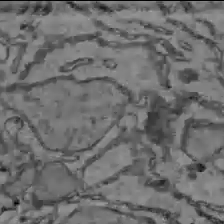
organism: C57BL Mouse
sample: Liver